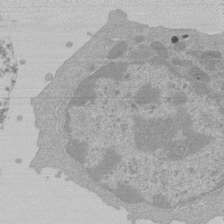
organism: Mouse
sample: Activated Pmel transgenic CD8+ T Cells